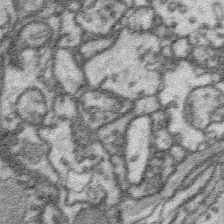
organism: Platynereis dumerilii